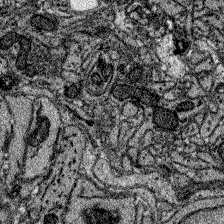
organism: Zebrafish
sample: Larval olfactory bulb